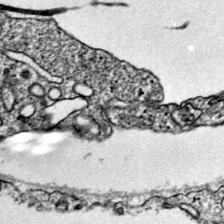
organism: Mouse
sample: Primary visual cortex